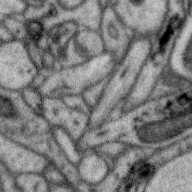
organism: Zebra finch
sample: Brain